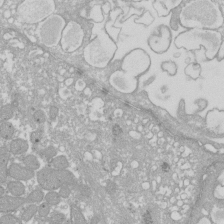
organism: Xenopus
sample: Cilia; centrioles in frog embryo cells